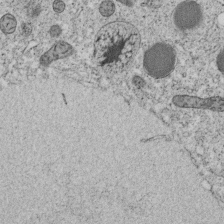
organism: C. elegans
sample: C. elegans embryo early stage